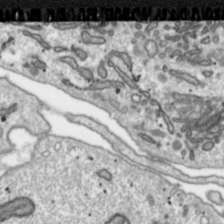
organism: Toxoplasma gondii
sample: Parasites in a vacuole inside a host cell